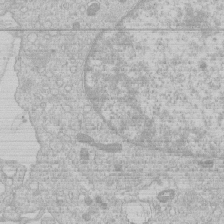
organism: Human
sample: Macrophage cells